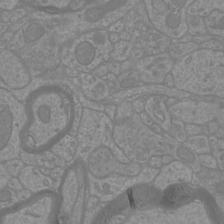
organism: Mouse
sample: Cortical neurons